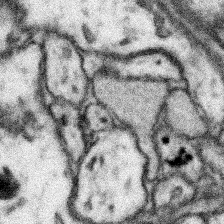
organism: Mouse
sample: Somatosensory cortex neuropil